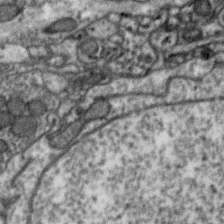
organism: Zebra finch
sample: Brain